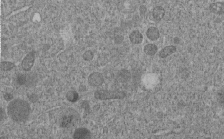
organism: C. elegans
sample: C. elegans embryo early stage